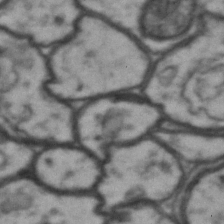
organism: Drosophila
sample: Brain